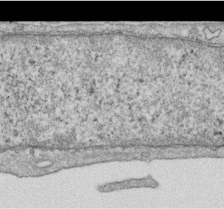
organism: Human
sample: Centriole in RPE cells